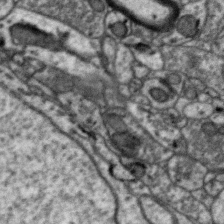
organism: Zebra finch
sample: Brain